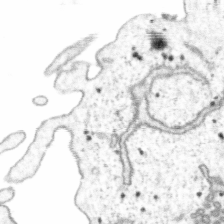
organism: Human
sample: HeLa cells